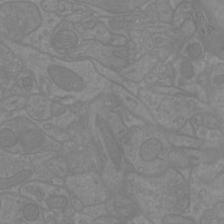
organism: Mouse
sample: Cortical neurons